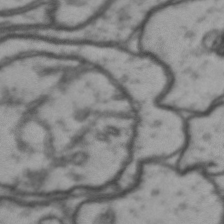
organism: Drosophila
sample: Brain